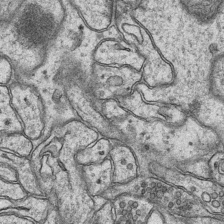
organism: Mouse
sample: CA1 Hippocampus